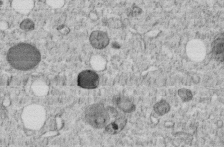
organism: C. elegans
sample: C. elegans embryo early stage